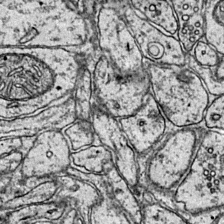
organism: Mouse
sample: Primary visual cortex